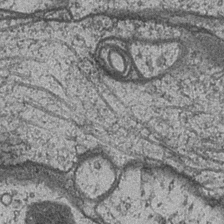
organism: Drosophila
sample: Optic medulla